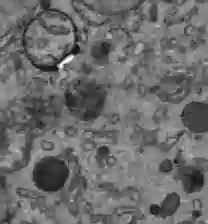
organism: C57BL Mouse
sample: Liver